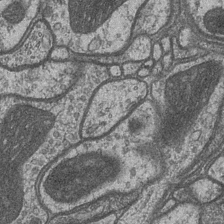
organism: Drosophila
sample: Optic medulla